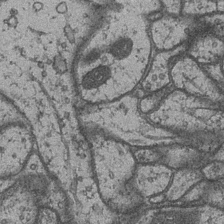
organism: Drosophila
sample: Optic medulla